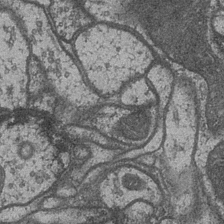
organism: Drosophila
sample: Optic medulla